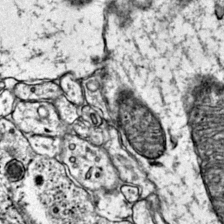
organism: Mouse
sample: Primary visual cortex